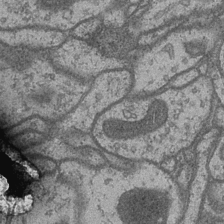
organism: Drosophila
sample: Optic medulla